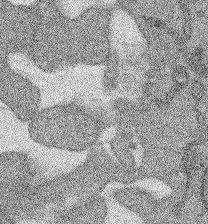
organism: Human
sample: HeLa cells